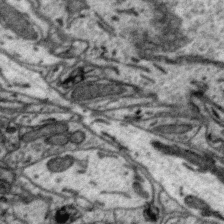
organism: Zebra finch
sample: Brain